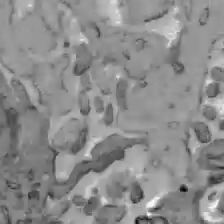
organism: C57BL Mouse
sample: Liver